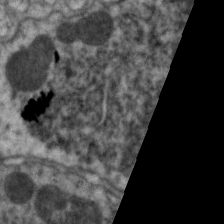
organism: C. elegans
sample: Pharynx